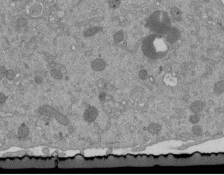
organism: Mouse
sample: ED-1 cell nuclei; centrioles